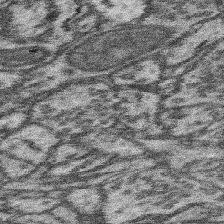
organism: Mouse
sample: Somatosensory cortex neuropil